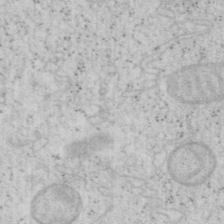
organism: Human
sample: HeLa cells